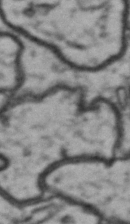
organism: Drosophila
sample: Brain